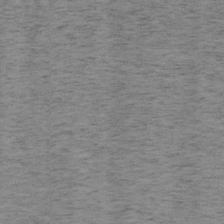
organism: Mouse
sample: OT-I killer T cells with ID8 ovarian cancer cells